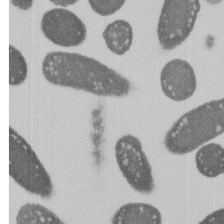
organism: E. coli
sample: Bacterial nucleoid